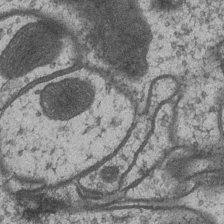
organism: Drosophila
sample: Optic medulla